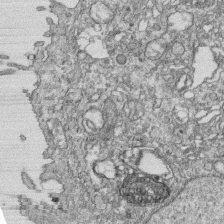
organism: Human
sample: HeLa cell HIV synapse